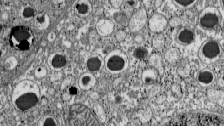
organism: C57BL Mouse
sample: Pancreatic islet